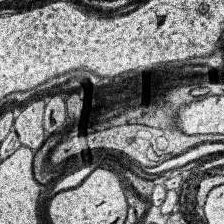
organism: Human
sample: Temporal Lobe